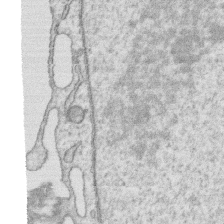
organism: Human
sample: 1205lu cells